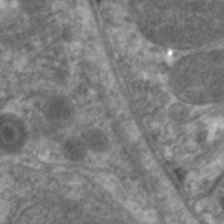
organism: C. elegans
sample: Pharynx